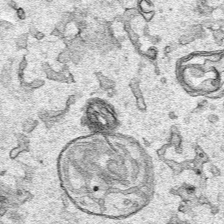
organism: Human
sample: Mitochondria in HCT116 cells